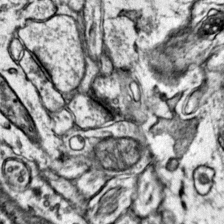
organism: Mouse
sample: Primary visual cortex